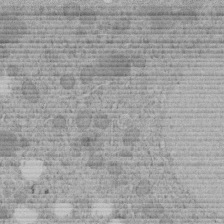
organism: C. elegans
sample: C. elegans embryo early stage